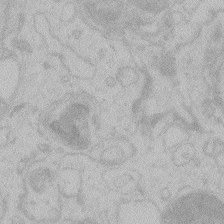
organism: Zebrafish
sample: Macrophage infected with Toxoplasma gondii